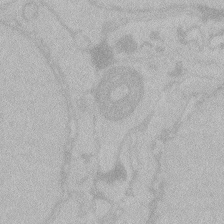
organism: Zebrafish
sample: Macrophage infected with Toxoplasma gondii